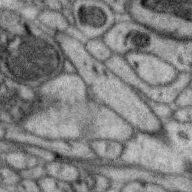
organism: Zebra finch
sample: Brain